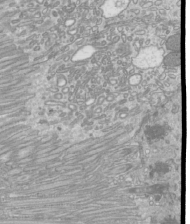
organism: Mouse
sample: Cilia; mouse epididymis